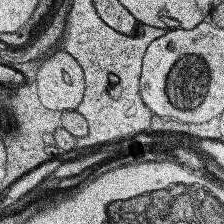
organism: Human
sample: Temporal Lobe